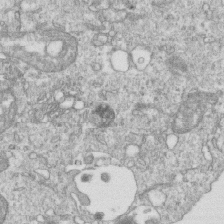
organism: Mouse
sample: Activated OT-1 CD8+ T cells